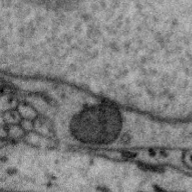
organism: Zebra finch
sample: Brain